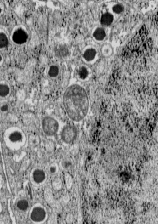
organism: C57BL Mouse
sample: Pancreatic islet